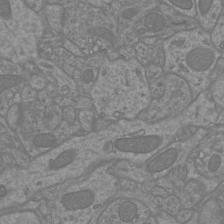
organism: Mouse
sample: Cortical neurons